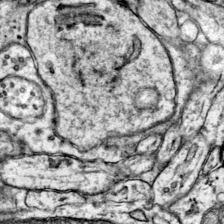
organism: Mouse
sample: Primary visual cortex